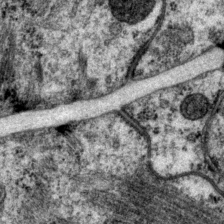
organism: P. pacificus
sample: Pharynx